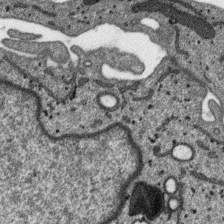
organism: Human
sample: Lung epithelial cells infected with SARS-CoV-2